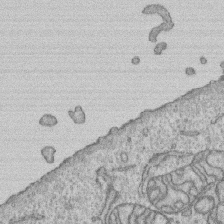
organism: Human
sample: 1205lu cells